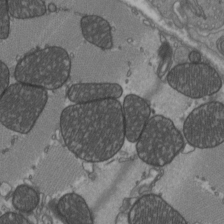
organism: C57BL Mouse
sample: Heart